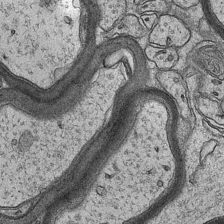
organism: Mouse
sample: CA1 Hippocampus